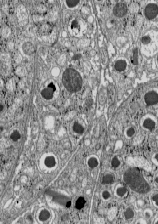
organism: C57BL Mouse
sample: Pancreatic islet